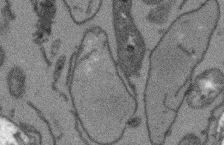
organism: Arabidopsis thaliana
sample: Root tip